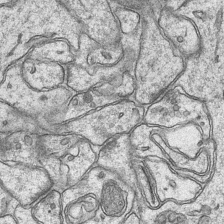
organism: Mouse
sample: CA1 Hippocampus